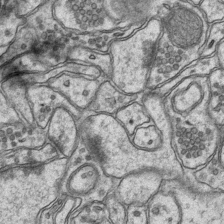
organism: Mouse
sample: CA1 Hippocampus